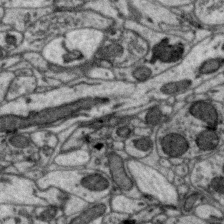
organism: Zebra finch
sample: Brain